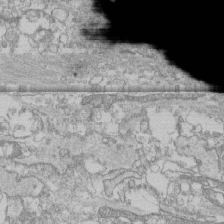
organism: Human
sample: CRL-1474